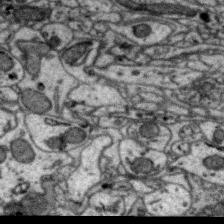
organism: Zebra finch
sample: Brain